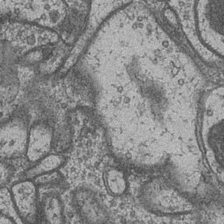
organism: Drosophila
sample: Optic medulla